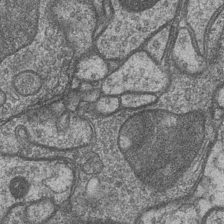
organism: Drosophila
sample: Optic medulla